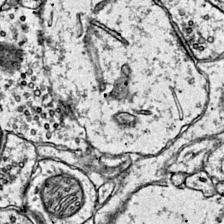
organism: Mouse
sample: Primary visual cortex